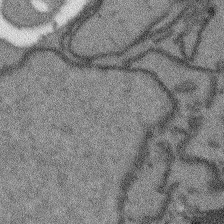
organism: Arabidopsis thaliana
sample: Root tip